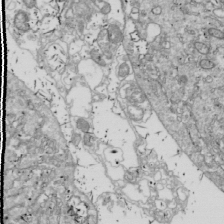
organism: Drosophila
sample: Cell division; meiosis; drosophila spermatocytes